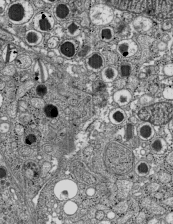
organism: C57BL Mouse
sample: Pancreatic islet